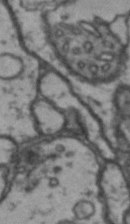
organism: Drosophila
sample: Brain